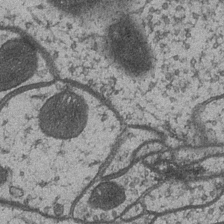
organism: Drosophila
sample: Optic medulla